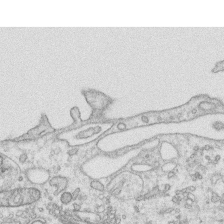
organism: Human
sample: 1205lu cells